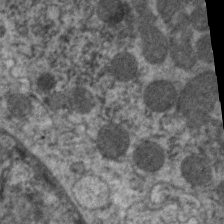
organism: C. elegans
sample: Pharynx